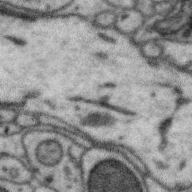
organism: Zebra finch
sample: Brain